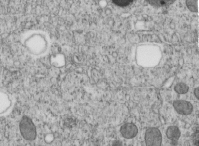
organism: C. elegans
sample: C. elegans embryo early stage